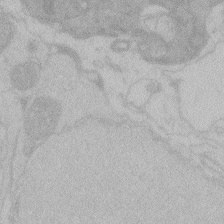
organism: Zebrafish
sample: Macrophage infected with Toxoplasma gondii